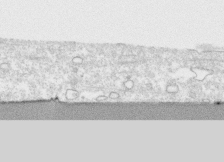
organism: Human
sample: CRL-1474